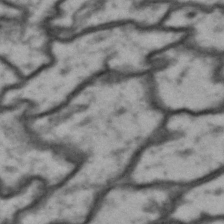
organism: Drosophila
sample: Brain